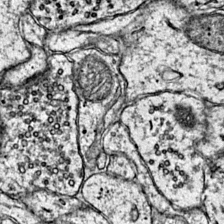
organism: Mouse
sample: Primary visual cortex